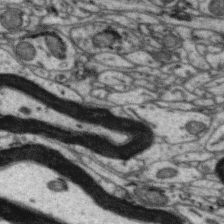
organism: Zebra finch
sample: Brain